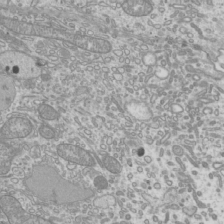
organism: Mouse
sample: Cilia; mouse epididymis